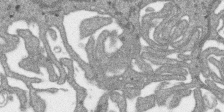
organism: Human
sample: Lung epithelial cells infected with SARS-CoV-2